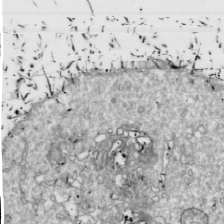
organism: Drosophila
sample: Cell division; meiosis; drosophila spermatocytes